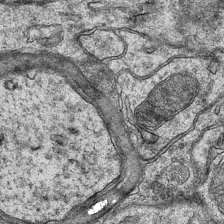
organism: Mouse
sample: CA1 Hippocampus